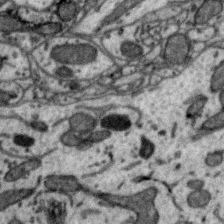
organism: Zebra finch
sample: Brain